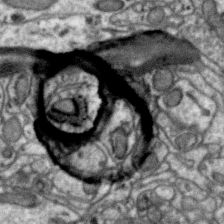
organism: Zebra finch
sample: Brain